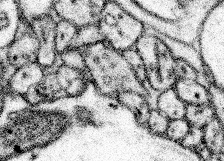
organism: Mouse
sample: Somatosensory cortex neuropil